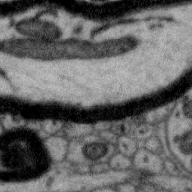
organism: Zebra finch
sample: Brain